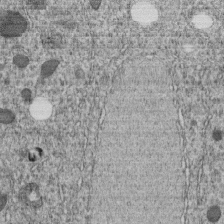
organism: C. elegans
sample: C. elegans embryo early stage